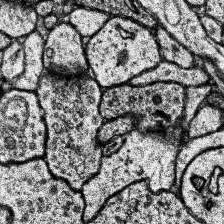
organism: Human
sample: Temporal Lobe